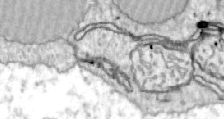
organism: Zebrafish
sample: Actinotrichia fibers